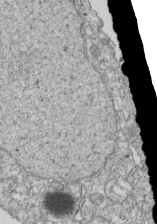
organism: Human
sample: HeLa cell HIV synapse